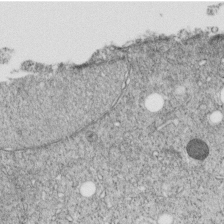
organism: C. elegans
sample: C. elegans embryo early stage